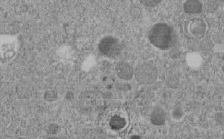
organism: C. elegans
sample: C. elegans embryo early stage